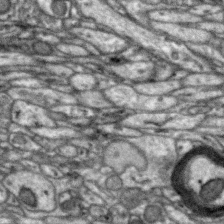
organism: Zebra finch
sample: Brain